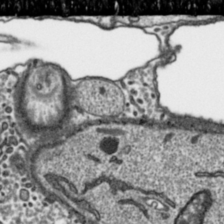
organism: Toxoplasma gondii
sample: Parasites in a vacuole inside a host cell